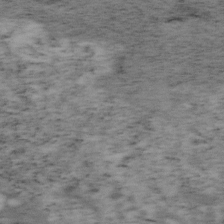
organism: Mouse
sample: OT-I killer T cells with ID8 ovarian cancer cells